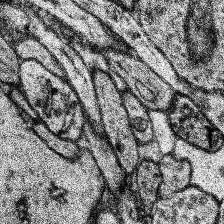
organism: Human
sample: Temporal Lobe